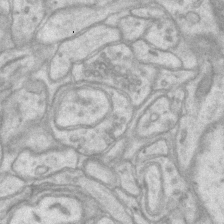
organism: Mouse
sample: CA1 Hippocampus